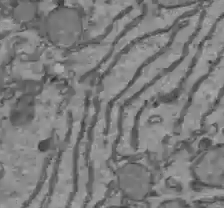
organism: C57BL Mouse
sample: Liver